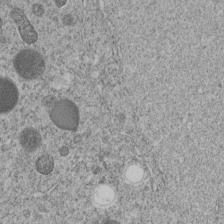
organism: C. elegans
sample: C. elegans embryo early stage